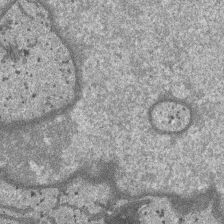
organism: Human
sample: Lung epithelial cells infected with SARS-CoV-2